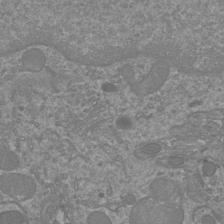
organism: Mouse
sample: Cortical neurons